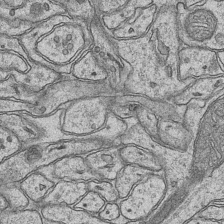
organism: Mouse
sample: CA1 Hippocampus